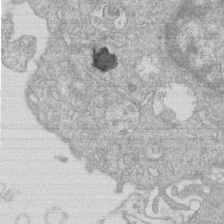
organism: Human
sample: Macrophage cells